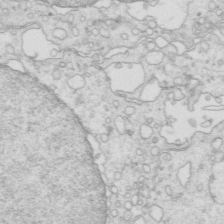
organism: Mouse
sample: Multiciliated cells